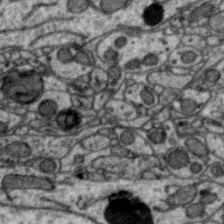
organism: Zebra finch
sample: Brain